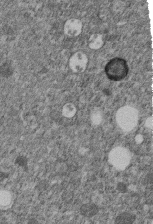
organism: C. elegans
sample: C. elegans embryo early stage